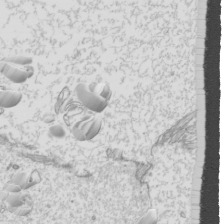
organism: Mouse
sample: Cilia; mouse epididymis